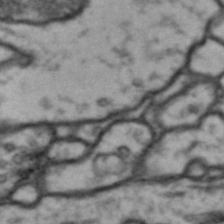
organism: Drosophila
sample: Brain